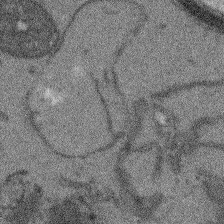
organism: Arabidopsis thaliana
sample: Root tip